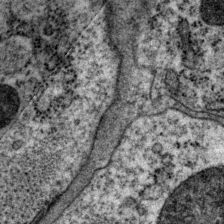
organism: P. pacificus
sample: Pharynx